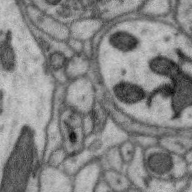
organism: Zebra finch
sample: Brain